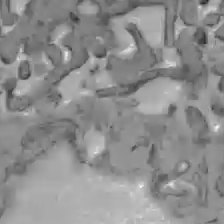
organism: C57BL Mouse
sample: Liver